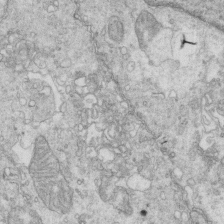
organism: Mouse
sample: Multiciliated cells